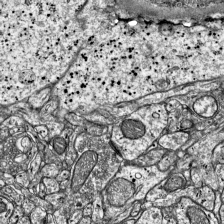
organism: Mouse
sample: Visual Cortex